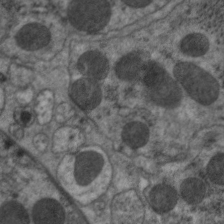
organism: C. elegans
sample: Pharynx